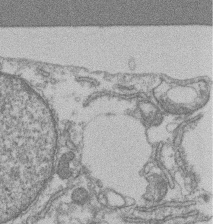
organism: Mouse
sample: T cell stromal cell synapse